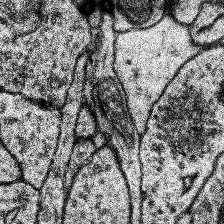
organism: Human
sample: Temporal Lobe